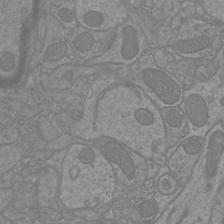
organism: Mouse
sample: Cortical neurons